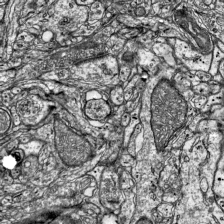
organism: Mouse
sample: Visual Cortex